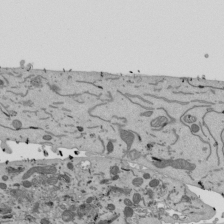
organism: Mouse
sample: ED-1 cell nuclei; centrioles